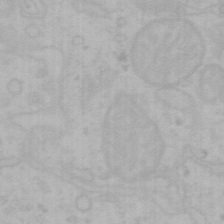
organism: Mouse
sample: Choroid plexus